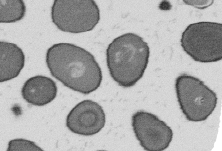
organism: B. subtilis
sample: Bacterial spore